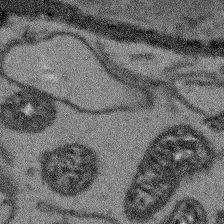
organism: Arabidopsis thaliana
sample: Root tip